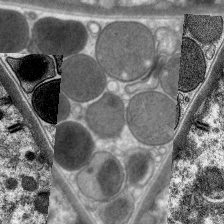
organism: C. elegans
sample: Pharynx